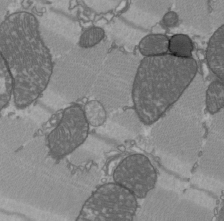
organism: C57BL Mouse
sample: Heart